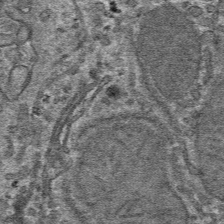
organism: Mouse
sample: Mouse hepatocytes